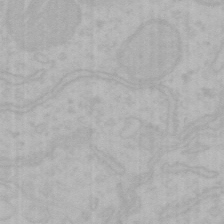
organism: Mouse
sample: Choroid plexus